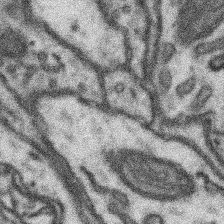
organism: Mouse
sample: Somatosensory cortex neuropil